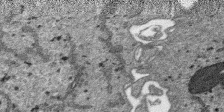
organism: Human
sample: Lung epithelial cells infected with SARS-CoV-2